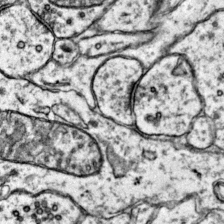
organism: Mouse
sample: Primary visual cortex